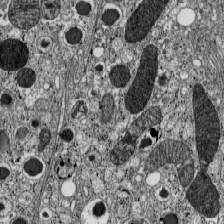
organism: C57BL Mouse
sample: Pancreatic islet